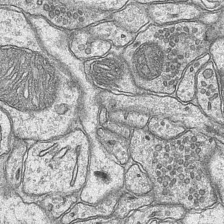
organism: Mouse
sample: CA1 Hippocampus